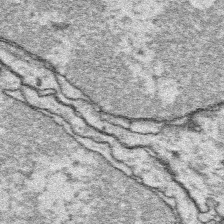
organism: Platynereis dumerilii